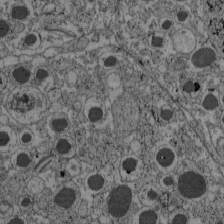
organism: C57BL Mouse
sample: Pancreatic islet